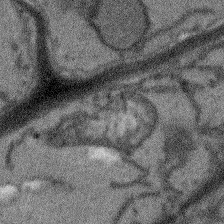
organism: Arabidopsis thaliana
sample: Root tip